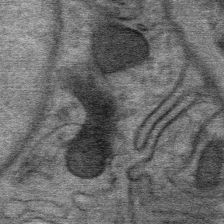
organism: Mouse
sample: Mouse Salivary gland